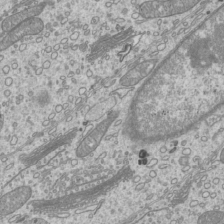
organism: Mouse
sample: Cilia; mouse epididymis